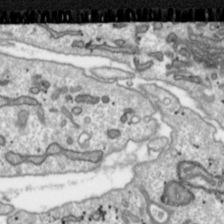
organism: Toxoplasma gondii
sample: Parasites in a vacuole inside a host cell